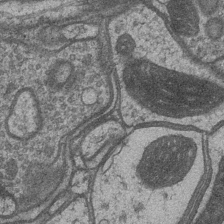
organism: Drosophila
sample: Optic medulla